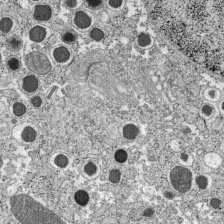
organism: C57BL Mouse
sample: Pancreatic islet